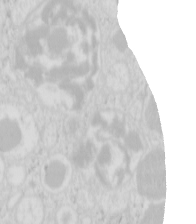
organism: Mouse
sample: Pancreas